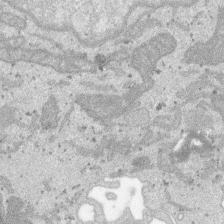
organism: Human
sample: Lung epithelial cells infected with SARS-CoV-2